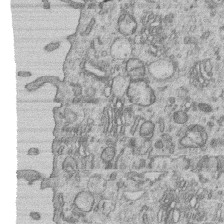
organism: Human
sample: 1205lu cells